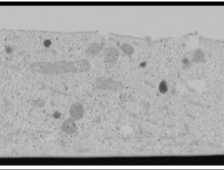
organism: Human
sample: Mitochondria in U2OS cells